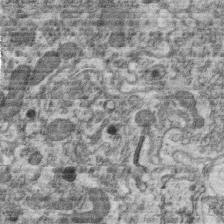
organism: C. elegans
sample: C. elegans oocyte; sperm cells